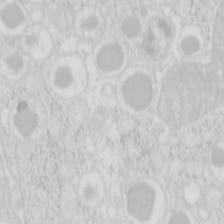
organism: Mouse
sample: Pancreas